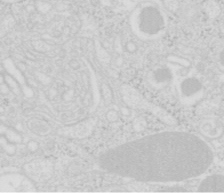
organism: Mouse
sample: Pancreas